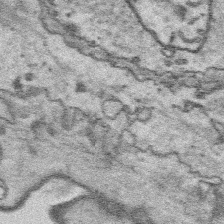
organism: Platynereis dumerilii